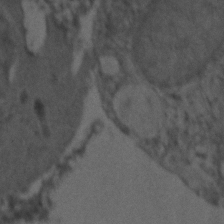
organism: Zebrafish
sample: Zebrafish embryo